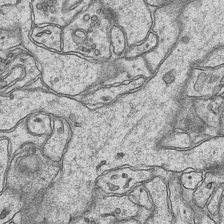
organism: Mouse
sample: CA1 Hippocampus